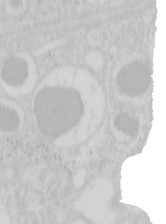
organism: Mouse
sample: Pancreas